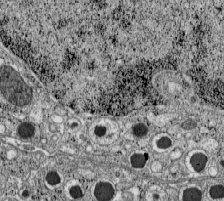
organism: C57BL Mouse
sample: Pancreatic islet